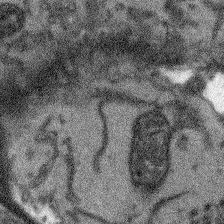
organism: Arabidopsis thaliana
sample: Root tip